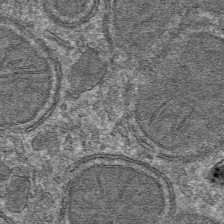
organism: Mouse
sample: Mouse hepatocytes